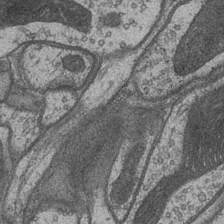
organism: Drosophila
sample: Optic medulla